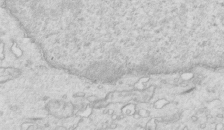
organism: Mouse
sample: Multiciliated cells